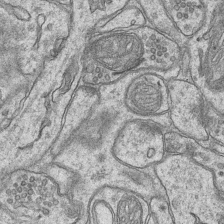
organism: Mouse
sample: CA1 Hippocampus